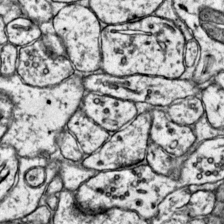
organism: Mouse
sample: Primary visual cortex